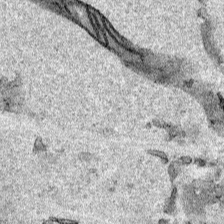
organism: Human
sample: Mitochondria in HCT116 cells